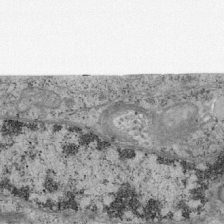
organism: Human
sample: HeLa cells